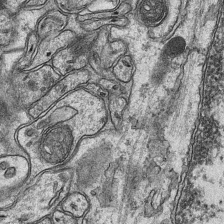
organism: Mouse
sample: CA1 Hippocampus